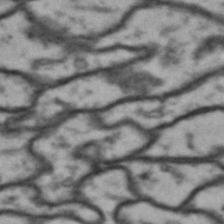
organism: Drosophila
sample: Brain